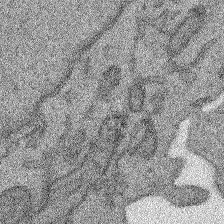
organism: Human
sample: HeLa cells